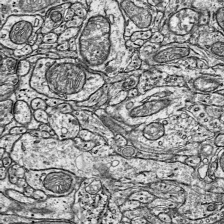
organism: Mouse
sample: Visual Cortex